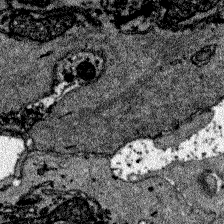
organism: Zebrafish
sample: Larval olfactory bulb